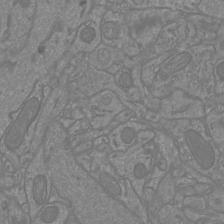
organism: Mouse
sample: Cortical neurons